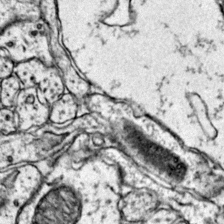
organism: Mouse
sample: Primary visual cortex